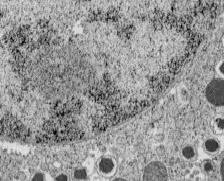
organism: C57BL Mouse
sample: Pancreatic islet